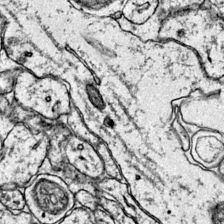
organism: Mouse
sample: Primary visual cortex